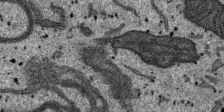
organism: Human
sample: Lung epithelial cells, uninfected (mock) control